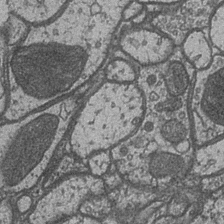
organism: Drosophila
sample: Optic medulla